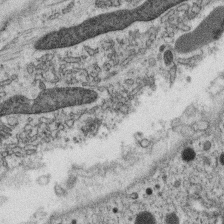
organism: C. elegans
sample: C. elegans oocyte; sperm cells